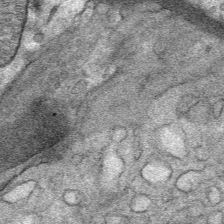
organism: Mouse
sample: Mouse Salivary gland